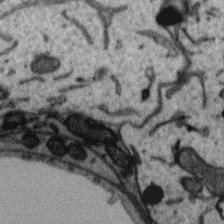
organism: Zebra finch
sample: Brain